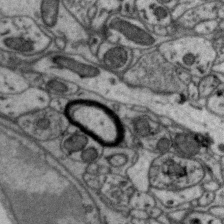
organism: Zebra finch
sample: Brain